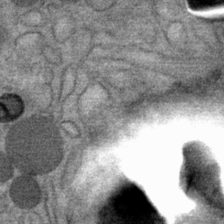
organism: Mouse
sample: Mouse Salivary gland